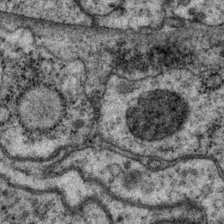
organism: P. pacificus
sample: Pharynx